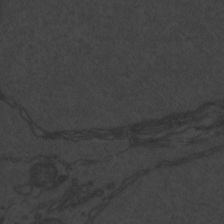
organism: Zebrafish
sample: Macrophage infected with Toxoplasma gondii